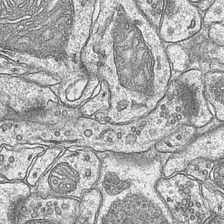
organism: Mouse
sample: CA1 Hippocampus